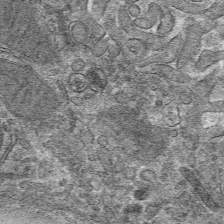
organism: Mouse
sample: Mouse hepatocytes